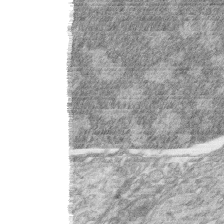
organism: Zebrafish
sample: synaptic ribbons in rod cells and cone cells